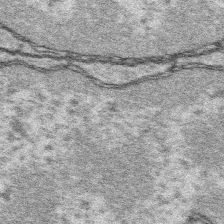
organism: Platynereis dumerilii